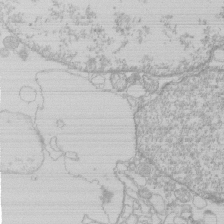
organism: Human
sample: Macrophage cells